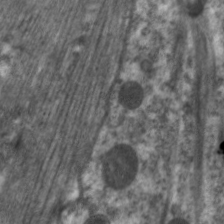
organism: C. elegans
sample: Pharynx